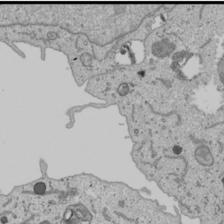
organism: Human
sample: Mitochondria in U2OS cells